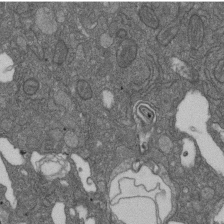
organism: Drosophila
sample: Nephrocyte